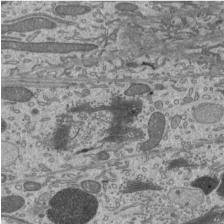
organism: Mouse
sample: Mouse epididymis efferent ductule cilia